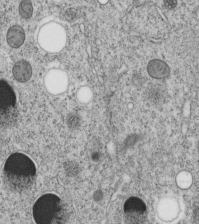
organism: C. elegans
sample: C. elegans embryo early stage